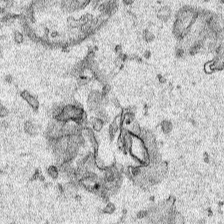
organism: Human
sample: Mitochondria in HCT116 cells